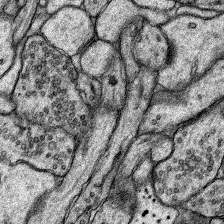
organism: Rat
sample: Hippocampus